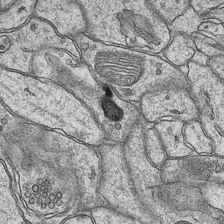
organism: Mouse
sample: CA1 Hippocampus